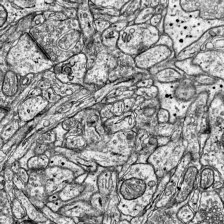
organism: Mouse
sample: Visual Cortex